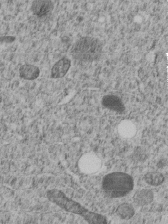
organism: C. elegans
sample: C. elegans embryo early stage